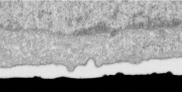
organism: Human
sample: Centriole in RPE cells